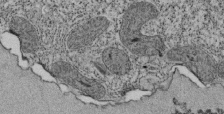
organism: Tetrahymena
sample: Cilia in tetrahymena